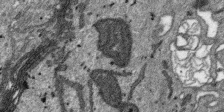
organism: Human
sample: Lung epithelial cells, uninfected (mock) control